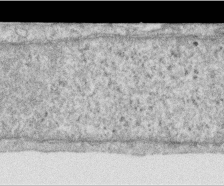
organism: Human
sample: Centriole in RPE cells